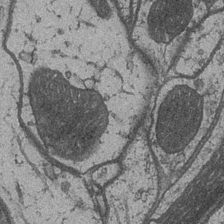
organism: Drosophila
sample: Optic medulla